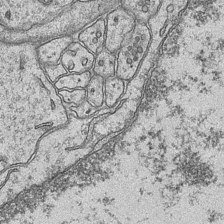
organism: Mouse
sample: CA1 Hippocampus